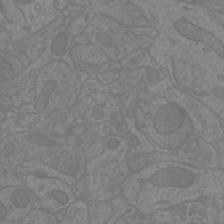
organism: Mouse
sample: Cortical neurons